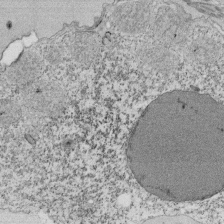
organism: Tetrahymena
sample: Cilia in tetrahymena